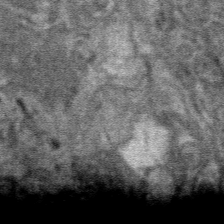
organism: Mouse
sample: Mouse hepatocytes